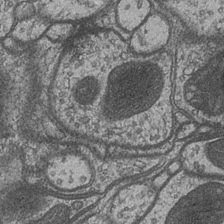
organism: Drosophila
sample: Optic medulla